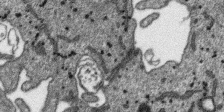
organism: Human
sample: Lung epithelial cells infected with SARS-CoV-2